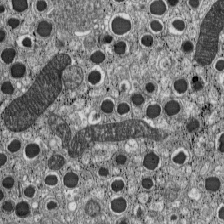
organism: C57BL Mouse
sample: Pancreatic islet